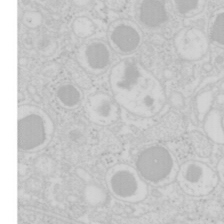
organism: Mouse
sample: Pancreas